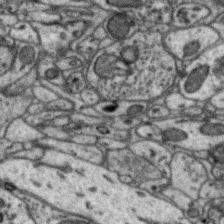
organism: Zebra finch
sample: Brain